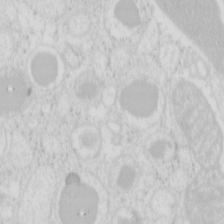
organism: Mouse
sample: Pancreas